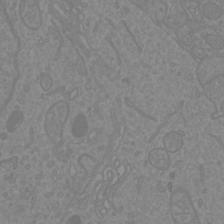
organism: Mouse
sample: Cortical neurons